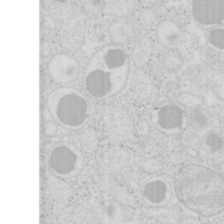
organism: Mouse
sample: Pancreas